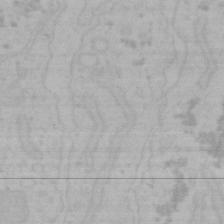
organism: Mouse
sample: Choroid plexus